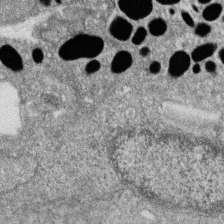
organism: Zebrafish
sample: Cilia; retinal pigment epithelium